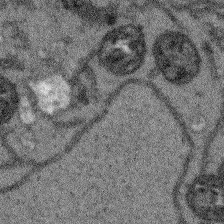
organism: Arabidopsis thaliana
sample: Root tip